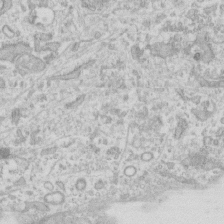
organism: Human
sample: Fibroblast cells